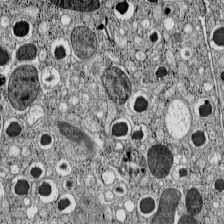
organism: C57BL Mouse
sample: Pancreatic islet